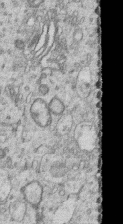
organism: Human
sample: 1205lu cells